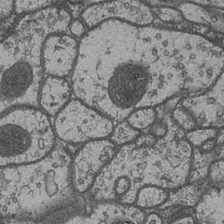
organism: Drosophila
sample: Optic medulla